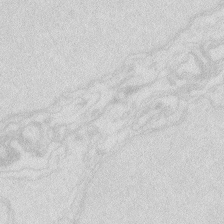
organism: Zebrafish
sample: Macrophage